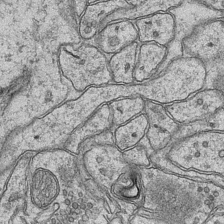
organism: Mouse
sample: CA1 Hippocampus